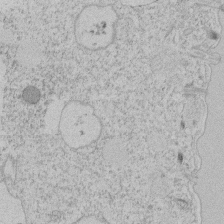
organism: Tetrahymena